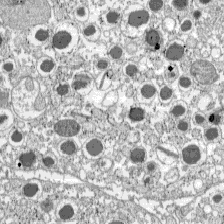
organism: C57BL Mouse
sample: Pancreatic islet